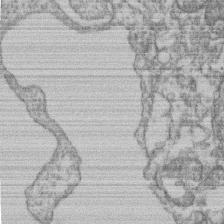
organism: Mouse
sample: T cell stromal cell synapse